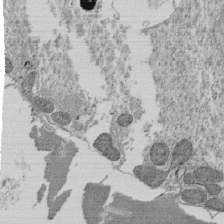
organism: Tetrahymena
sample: Cilia in tetrahymena